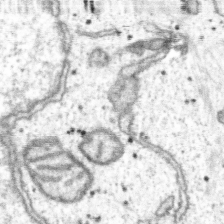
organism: Human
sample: HeLa cells